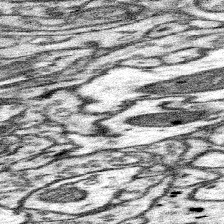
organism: Mouse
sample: Somatosensory cortex neuropil